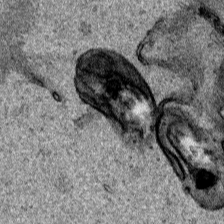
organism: Human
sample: Mitochondria in HCT116 cells